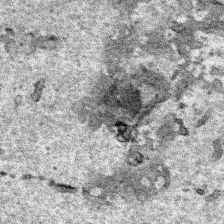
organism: Human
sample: Mitochondria in HCT116 cells